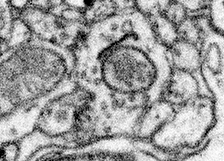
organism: Mouse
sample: Somatosensory cortex neuropil